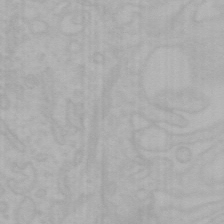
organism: Mouse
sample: Choroid plexus